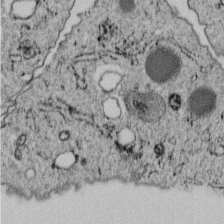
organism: C. elegans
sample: C. elegans embryo early stage